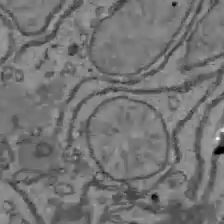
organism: C57BL Mouse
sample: Liver